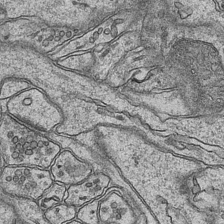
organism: Mouse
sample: CA1 Hippocampus